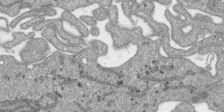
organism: Human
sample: Lung epithelial cells infected with SARS-CoV-2